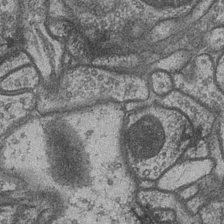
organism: Drosophila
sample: Optic medulla